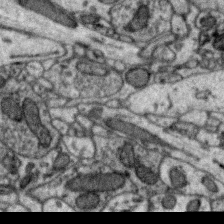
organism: Zebra finch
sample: Brain